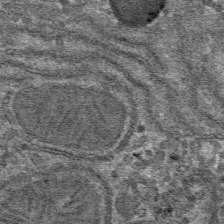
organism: Mouse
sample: Mouse hepatocytes